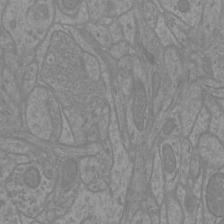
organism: Mouse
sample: Cortical neurons